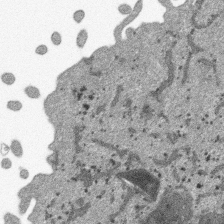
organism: Human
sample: Lung epithelial cells infected with SARS-CoV-2